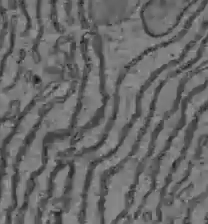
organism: C57BL Mouse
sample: Liver